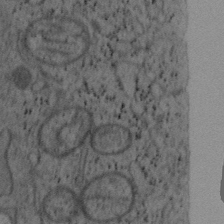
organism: Human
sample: HeLa cells